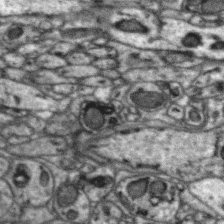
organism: Zebra finch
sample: Brain